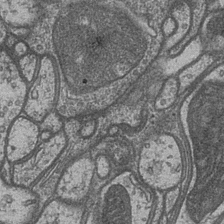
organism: Drosophila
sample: Optic medulla